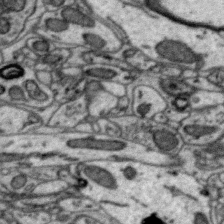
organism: Zebra finch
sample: Brain